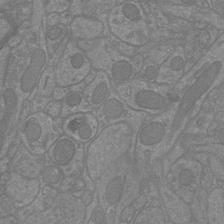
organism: Mouse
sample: Cortical neurons